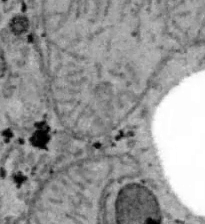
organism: Mouse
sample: Liver from an obese (ob/ob) mouse